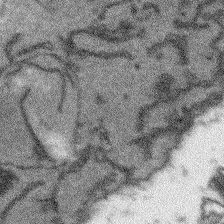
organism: Arabidopsis thaliana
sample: Root tip